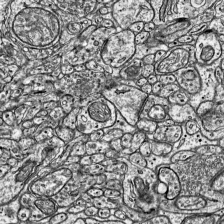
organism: Mouse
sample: Visual Cortex